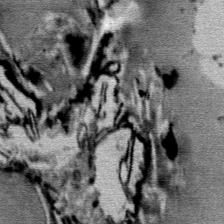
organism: Mouse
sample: Mouse Salivary gland